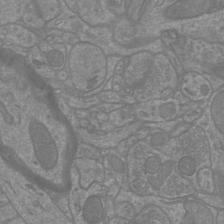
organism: Mouse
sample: Cortical neurons